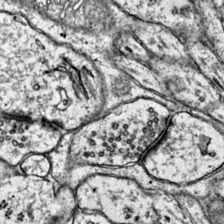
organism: Mouse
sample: Primary visual cortex